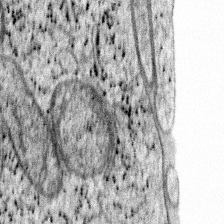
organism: Human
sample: HeLa cells